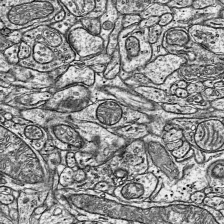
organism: Mouse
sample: Visual Cortex